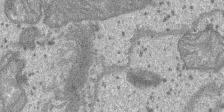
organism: Human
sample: Lung epithelial cells infected with SARS-CoV-2